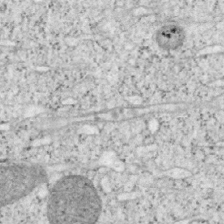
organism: Mouse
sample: OT-I killer T cells with ID8 ovarian cancer cells